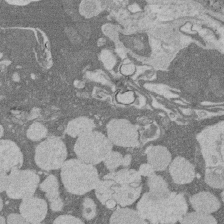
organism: Rat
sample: Salivary granule